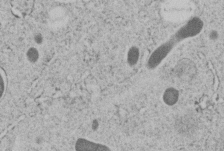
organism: C. elegans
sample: C. elegans embryo early stage